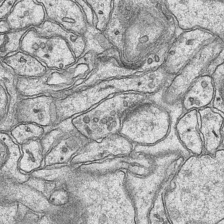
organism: Mouse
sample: CA1 Hippocampus